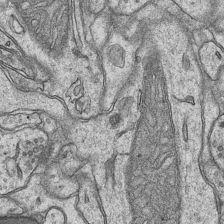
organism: Mouse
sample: CA1 Hippocampus